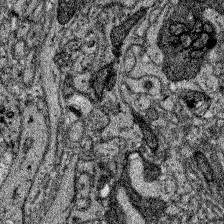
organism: Zebrafish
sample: Larval olfactory bulb